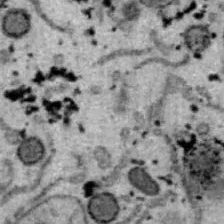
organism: Mouse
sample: Liver from an obese (ob/ob) mouse